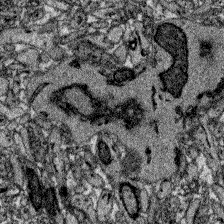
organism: Zebrafish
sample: Larval olfactory bulb